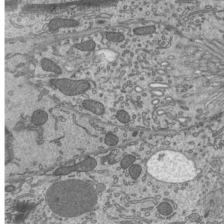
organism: Mouse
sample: Mouse epididymis efferent ductule cilia